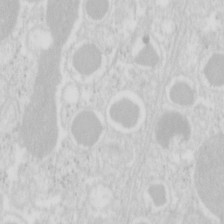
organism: Mouse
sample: Pancreas